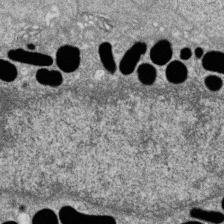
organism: Zebrafish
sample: Cilia; retinal pigment epithelium